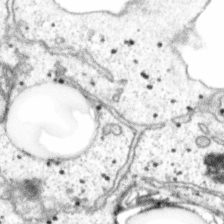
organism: Human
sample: HeLa cells